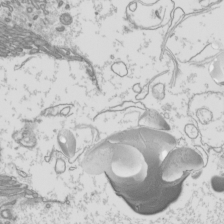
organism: Mouse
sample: Cilia; mouse epididymis